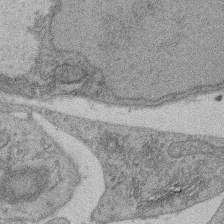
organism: Rat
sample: Salivary granule